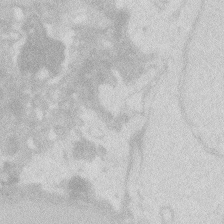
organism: Zebrafish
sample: Macrophage